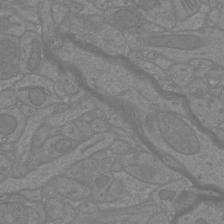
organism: Mouse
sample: Cortical neurons